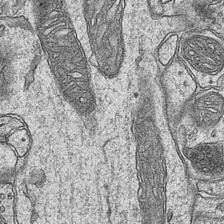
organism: Mouse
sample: CA1 Hippocampus